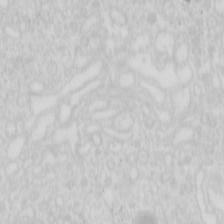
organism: Mouse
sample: Pancreas